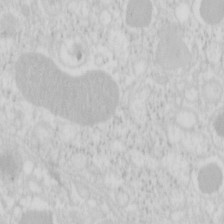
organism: Mouse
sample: Pancreas